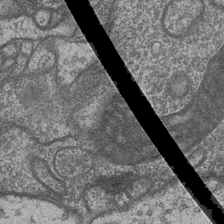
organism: Drosophila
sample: Optic medulla